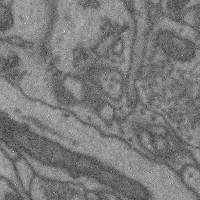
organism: Mouse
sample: Cerebral cortex